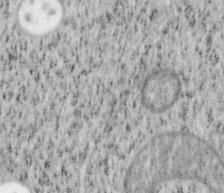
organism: Mouse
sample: OT-I killer T cells with ID8 ovarian cancer cells